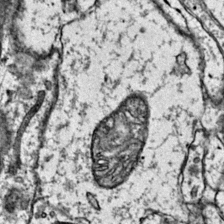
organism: Mouse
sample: Primary visual cortex